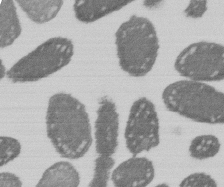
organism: E. coli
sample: Bacterial nucleoid